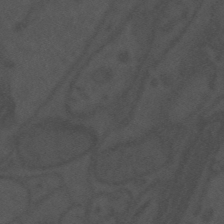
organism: Mouse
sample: Suprachiasmatic nucleus